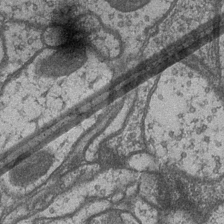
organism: Drosophila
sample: Optic medulla